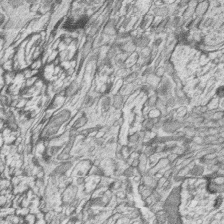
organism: Zebrafish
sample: synaptic ribbons in rod cells and cone cells